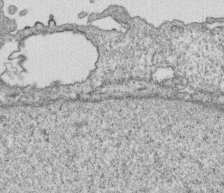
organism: Human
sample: HeLa cell HIV synapse